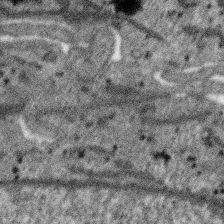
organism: Human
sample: Lung epithelial cells infected with SARS-CoV-2